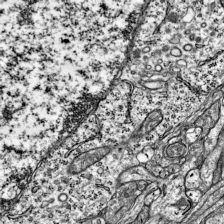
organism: Mouse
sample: Visual Cortex